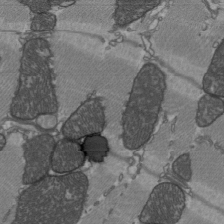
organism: C57BL Mouse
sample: Heart